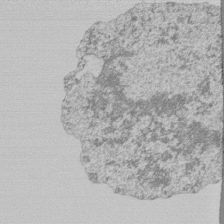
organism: Mouse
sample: Activated Pmel transgenic CD8+ T Cells